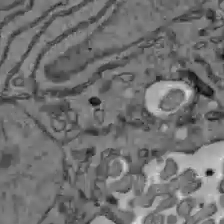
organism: C57BL Mouse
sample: Liver